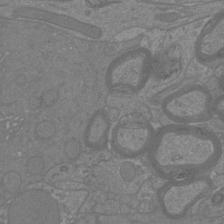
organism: Mouse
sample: Cortical neurons